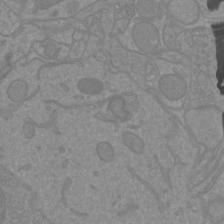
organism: Mouse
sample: Cortical neurons